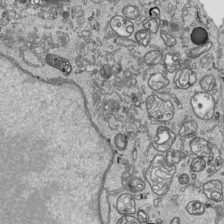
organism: Human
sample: Mitochondria in HCT116 cells